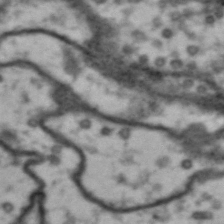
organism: Drosophila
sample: Brain